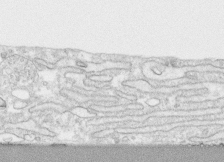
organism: Human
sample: CRL-1474